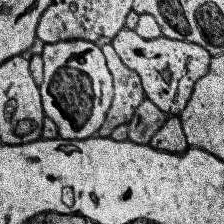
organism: Human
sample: Temporal Lobe